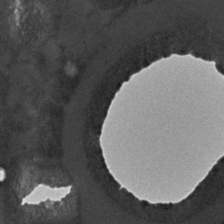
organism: C. elegans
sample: C. elegans embryo